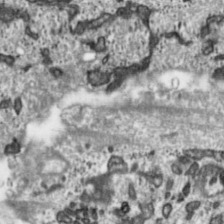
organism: Toxoplasma gondii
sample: Parasites in a vacuole inside a host cell